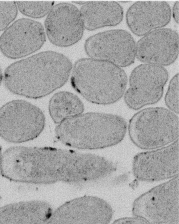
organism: E. coli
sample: Bacterial nucleoid